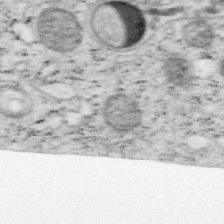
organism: Mouse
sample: OT-I killer T cells with ID8 ovarian cancer cells